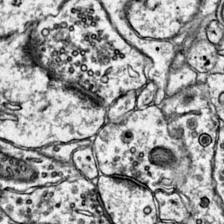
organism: Mouse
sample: Primary visual cortex